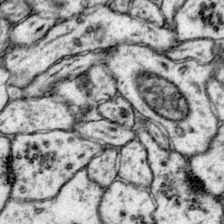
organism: Mouse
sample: Primary visual cortex